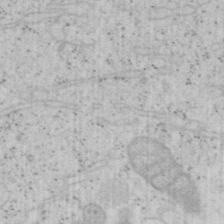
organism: Human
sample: HeLa cells